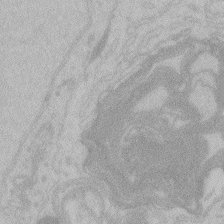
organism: Zebrafish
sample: Macrophage infected with Toxoplasma gondii